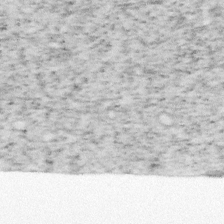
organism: Mouse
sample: OT-I killer T cells with ID8 ovarian cancer cells